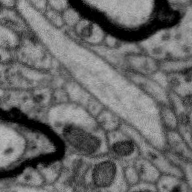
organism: Zebra finch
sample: Brain